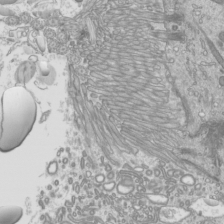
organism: Mouse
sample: Cilia; mouse epididymis